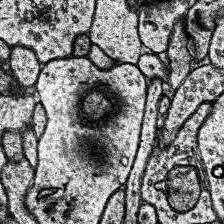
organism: Human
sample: Temporal Lobe